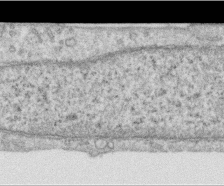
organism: Human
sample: Centriole in RPE cells